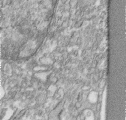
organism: Human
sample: Centriole in RPE cells